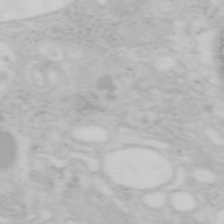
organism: Mouse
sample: OT-I killer T cells with ID8 ovarian cancer cells